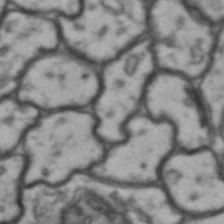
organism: Drosophila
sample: Brain